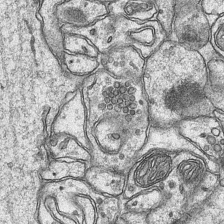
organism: Mouse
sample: CA1 Hippocampus